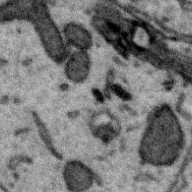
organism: Zebra finch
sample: Brain